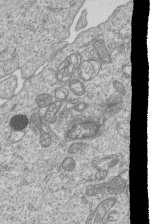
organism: Human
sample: MDA-MB-231 cells